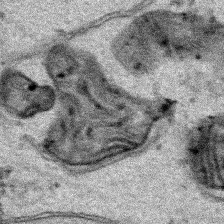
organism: Human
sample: Mitochondria in HCT116 cells